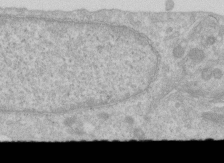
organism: Human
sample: Centriole in RPE cells